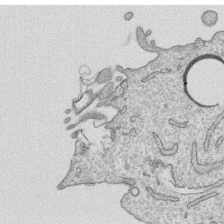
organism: Human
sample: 1205lu cells